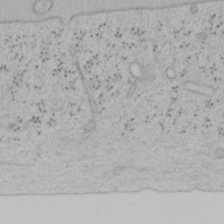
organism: Human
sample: HeLa cells